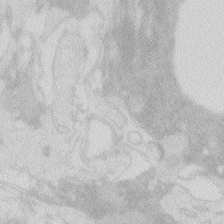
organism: Zebrafish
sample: Macrophage